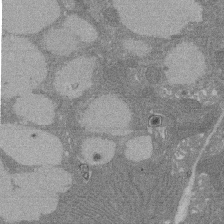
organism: Rat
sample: Salivary granule